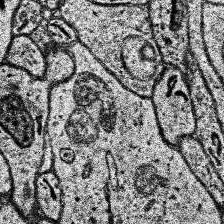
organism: Human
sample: Temporal Lobe